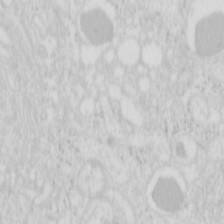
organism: Mouse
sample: Pancreas